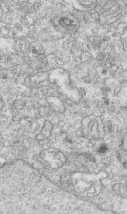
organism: Human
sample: HeLa cell HIV synapse